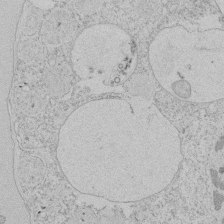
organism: Tetrahymena